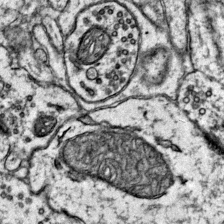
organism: Mouse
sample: Primary visual cortex